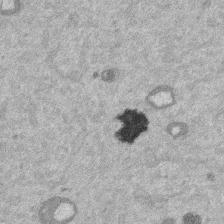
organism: Mouse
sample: Dividing mouse embryo 1 cell stage